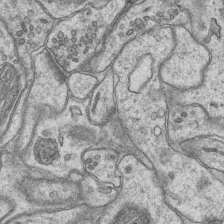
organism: Mouse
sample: CA1 Hippocampus